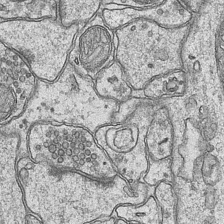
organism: Mouse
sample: CA1 Hippocampus